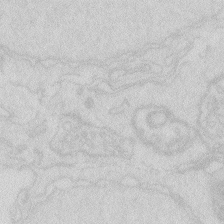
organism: Zebrafish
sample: Macrophage